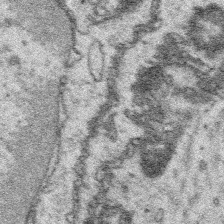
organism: Platynereis dumerilii